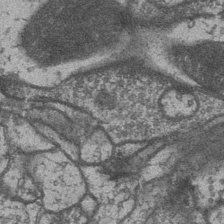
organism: Drosophila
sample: Optic medulla